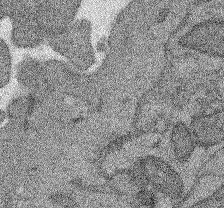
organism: Human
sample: HeLa cells